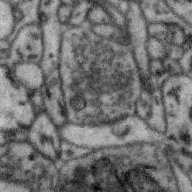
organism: Zebra finch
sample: Brain